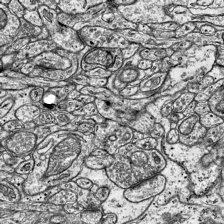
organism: Mouse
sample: Visual Cortex